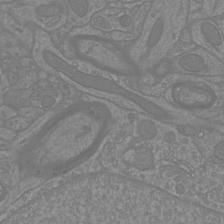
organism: Mouse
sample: Cortical neurons